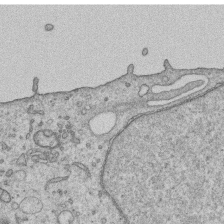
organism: Human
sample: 1205lu cells